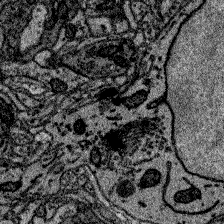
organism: Zebrafish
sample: Larval olfactory bulb